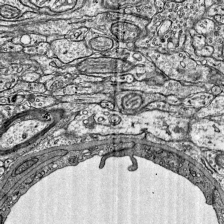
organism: Mouse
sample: Visual Cortex